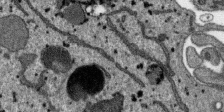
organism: Human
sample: Lung epithelial cells, uninfected (mock) control